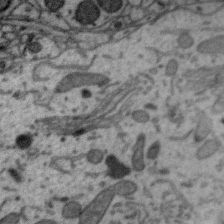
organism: Zebra finch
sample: Brain